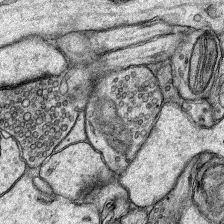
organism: Rat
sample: Hippocampus